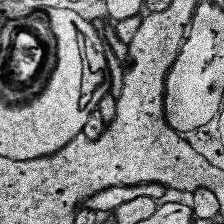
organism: Human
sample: Temporal Lobe